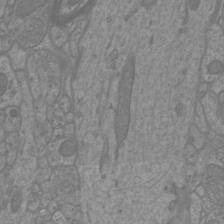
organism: Mouse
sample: Cortical neurons